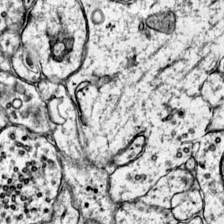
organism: Mouse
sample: Primary visual cortex